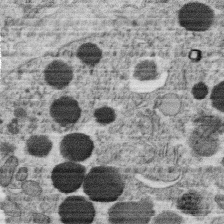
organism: C. elegans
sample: C. elegans oocyte; sperm cells